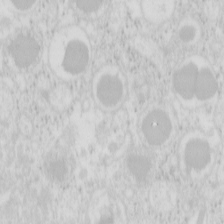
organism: Mouse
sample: Pancreas